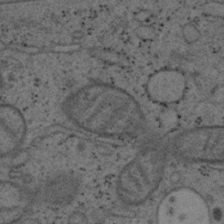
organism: Human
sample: HeLa cells